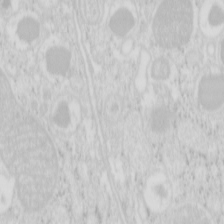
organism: Mouse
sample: Pancreas